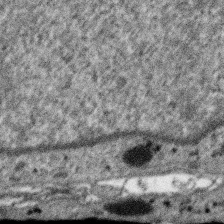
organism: Human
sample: Lung epithelial cells infected with SARS-CoV-2